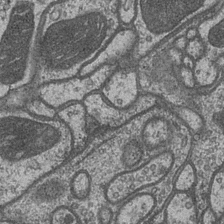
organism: Drosophila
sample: Optic medulla